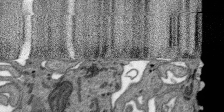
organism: Human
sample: Lung epithelial cells, uninfected (mock) control